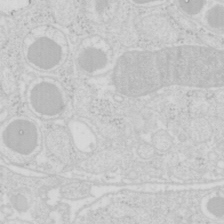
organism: Mouse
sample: Pancreas